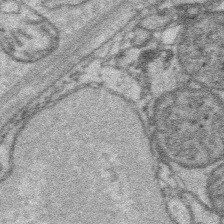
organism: Platynereis dumerilii